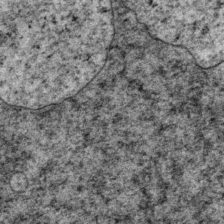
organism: P. pacificus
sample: Pharynx